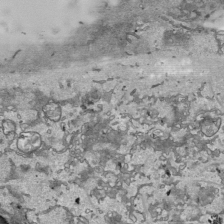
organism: Human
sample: Mitochondria in HCT116 cells